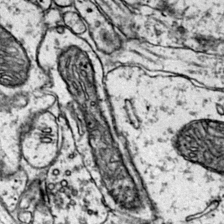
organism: Mouse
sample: Primary visual cortex